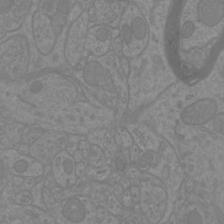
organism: Mouse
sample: Cortical neurons